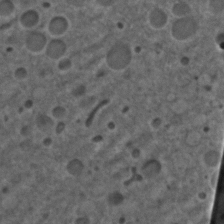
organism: C. elegans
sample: C. elegans embryo